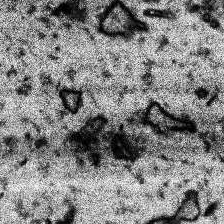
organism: Human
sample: Temporal Lobe